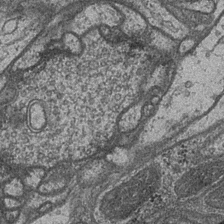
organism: Drosophila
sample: Optic medulla